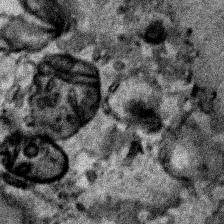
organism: Human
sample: Mitochondria in HCT116 cells